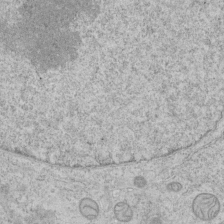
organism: Human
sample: Mitochondria in HCT116 cells